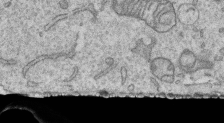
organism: Human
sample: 1205lu cells